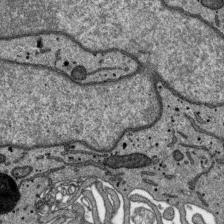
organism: Human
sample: Lung epithelial cells, uninfected (mock) control